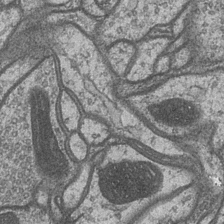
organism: Drosophila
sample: Optic medulla